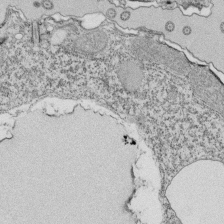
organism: Tetrahymena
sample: Cilia in tetrahymena